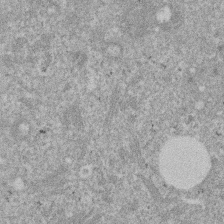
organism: Mouse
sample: Dividing mouse embryo 1 cell stage